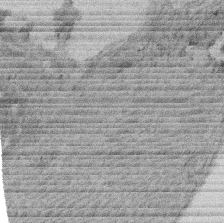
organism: Rat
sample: Salivary granule